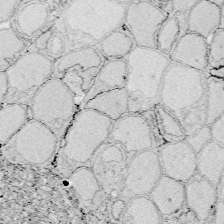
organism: Zebrafish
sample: Whole-Brain